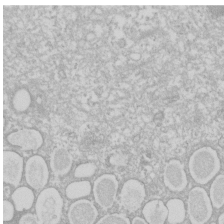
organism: Xenopus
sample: Cilia; centrioles in frog embryo cells